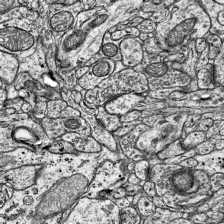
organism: Mouse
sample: Visual Cortex